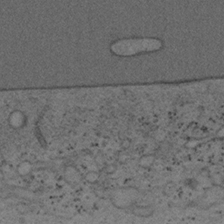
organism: Human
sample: HeLa cells